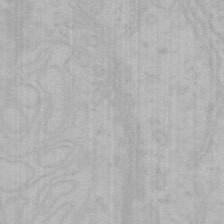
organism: Mouse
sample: Choroid plexus